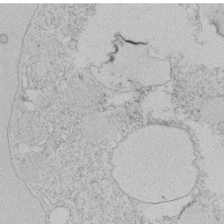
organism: Tetrahymena